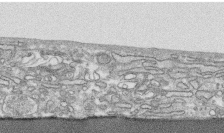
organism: Human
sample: CRL-1474